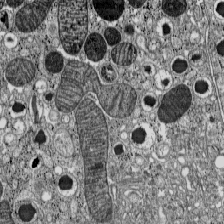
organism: C57BL Mouse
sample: Pancreatic islet